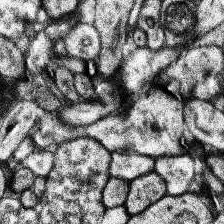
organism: Human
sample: Temporal Lobe